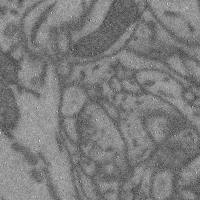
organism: Mouse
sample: Cerebral cortex